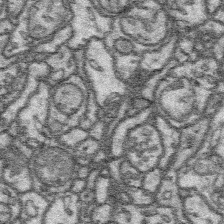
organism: Platynereis dumerilii